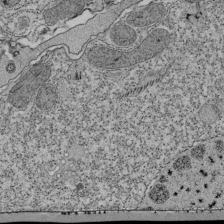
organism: Tetrahymena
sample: Cilia in tetrahymena